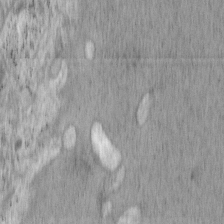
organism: Human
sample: HeLa cells